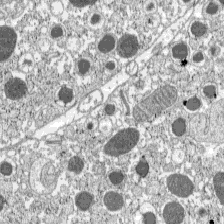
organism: C57BL Mouse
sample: Pancreatic islet